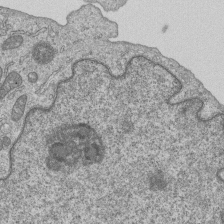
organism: Human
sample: MDA-MB-231 cells